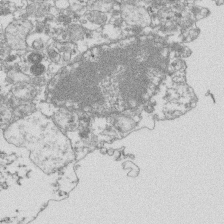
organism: Human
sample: HeLa cell HIV synapse